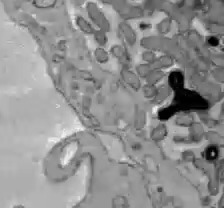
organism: C57BL Mouse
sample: Liver